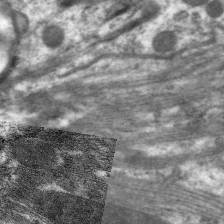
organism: C. elegans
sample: Pharynx